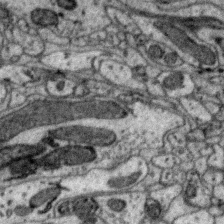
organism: Zebra finch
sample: Brain